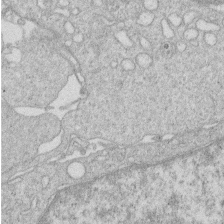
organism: Human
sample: Macrophage cells